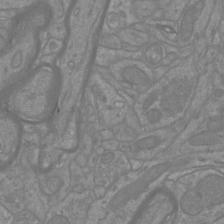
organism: Mouse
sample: Cortical neurons